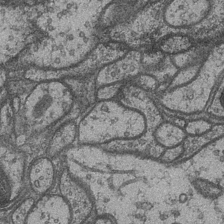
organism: Drosophila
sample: Optic medulla